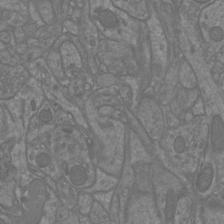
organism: Mouse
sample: Cortical neurons